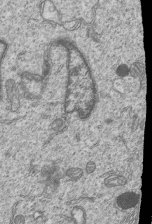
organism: Human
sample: MDA-MB-231 cells